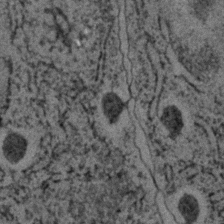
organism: C. elegans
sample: C. elegans embryo